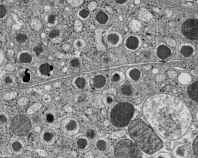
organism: C57BL Mouse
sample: Pancreatic islet